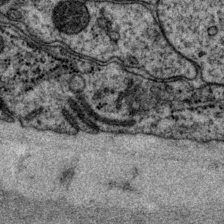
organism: P. pacificus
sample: Pharynx